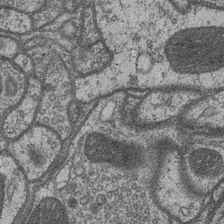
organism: Drosophila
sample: Optic medulla